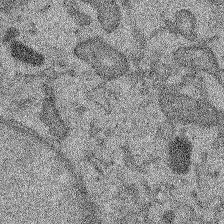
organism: Human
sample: HeLa cells